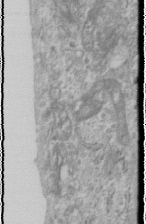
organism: Human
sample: Cilia; basal body in RPE cells